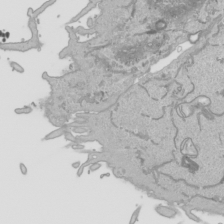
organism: Human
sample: Mitochondria in HCT116 cells